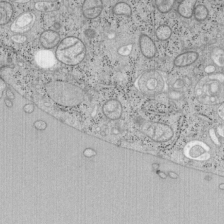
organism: Mouse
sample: OT-I killer T cells with ID8 ovarian cancer cells